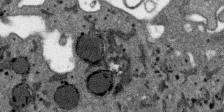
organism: Human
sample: Lung epithelial cells, uninfected (mock) control